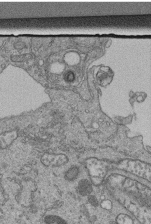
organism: Human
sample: Retinal organoid Rod and Cone cells